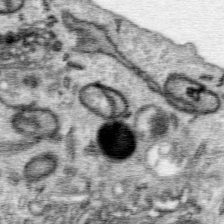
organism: Human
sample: HeLa cells